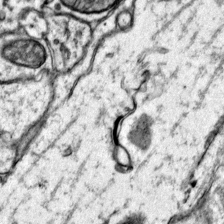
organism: Mouse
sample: Primary visual cortex